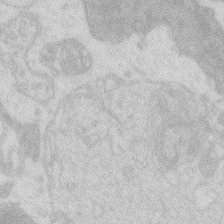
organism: Zebrafish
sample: Macrophage